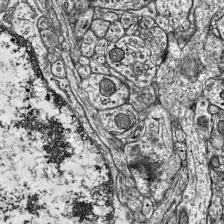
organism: Mouse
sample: Visual Cortex